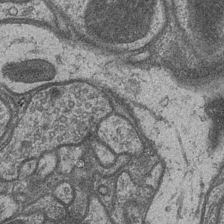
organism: Drosophila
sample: Optic medulla